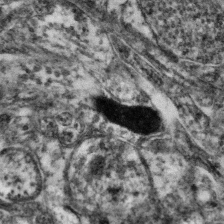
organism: Mouse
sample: Neocortex